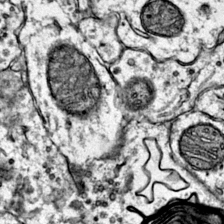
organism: Mouse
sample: Primary visual cortex